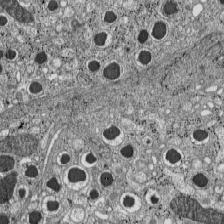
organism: C57BL Mouse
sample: Pancreatic islet